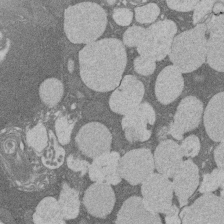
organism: Rat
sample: Salivary granule